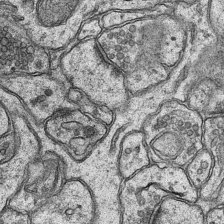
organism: Mouse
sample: CA1 Hippocampus